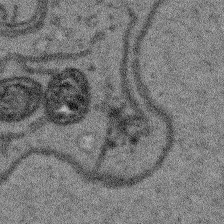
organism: Arabidopsis thaliana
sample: Root tip